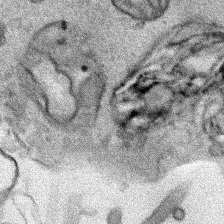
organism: Human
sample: Mitochondria in HCT116 cells